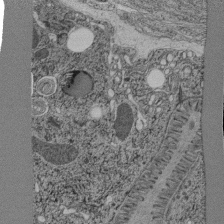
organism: C. elegans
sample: C. elegans pharynx